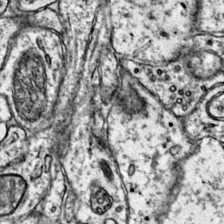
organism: Mouse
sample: Primary visual cortex